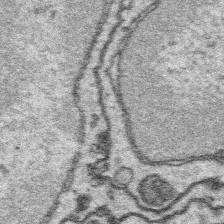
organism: Platynereis dumerilii